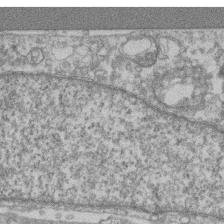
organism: Mouse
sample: T cell stromal cell synapse